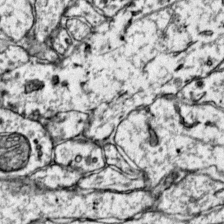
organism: Mouse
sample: Primary visual cortex